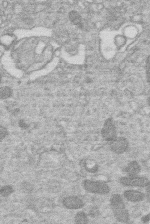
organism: Human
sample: Macrophage cells